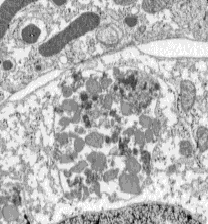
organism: C57BL Mouse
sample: Pancreatic islet